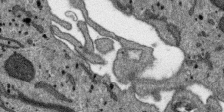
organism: Human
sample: Lung epithelial cells, uninfected (mock) control